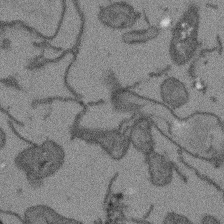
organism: Arabidopsis thaliana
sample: Root tip